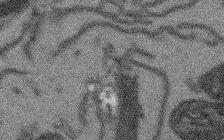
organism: Arabidopsis thaliana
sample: Root tip